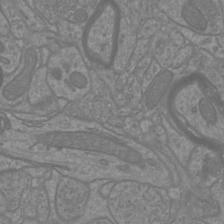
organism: Mouse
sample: Cortical neurons